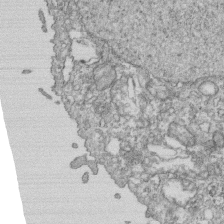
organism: Human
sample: HeLa cell HIV synapse